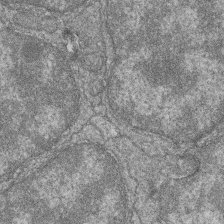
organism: Zebrafish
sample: Cilia; retinal pigment epithelium